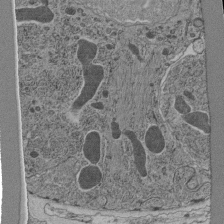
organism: C. elegans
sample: C. elegans pharynx